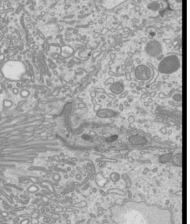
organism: Mouse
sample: Cilia; mouse epididymis